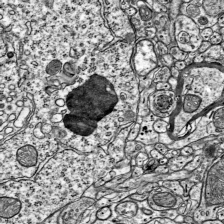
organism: Mouse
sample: Visual Cortex